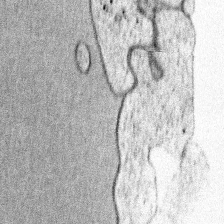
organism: Human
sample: HeLa cells